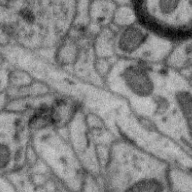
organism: Zebra finch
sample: Brain